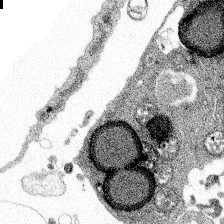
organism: Spongilla lacustris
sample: Multiple